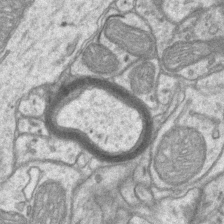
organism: Mouse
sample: CA1 Hippocampus